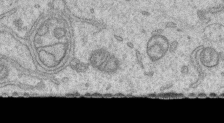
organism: Human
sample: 1205lu cells